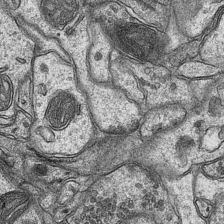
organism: Mouse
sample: CA1 Hippocampus